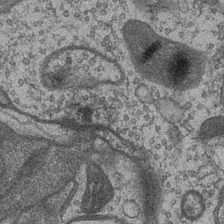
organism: Drosophila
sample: Optic medulla